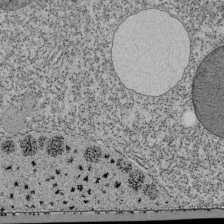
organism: Tetrahymena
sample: Cilia in tetrahymena